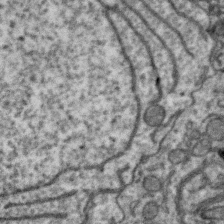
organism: Zebra finch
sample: Brain